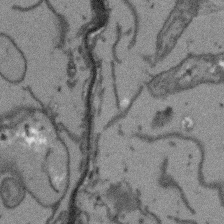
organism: Arabidopsis thaliana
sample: Root tip